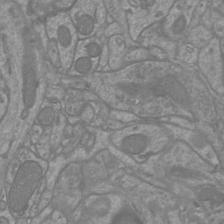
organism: Mouse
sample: Cortical neurons